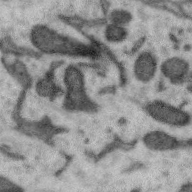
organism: Zebra finch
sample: Brain